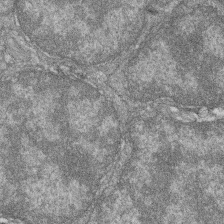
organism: Zebrafish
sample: Cilia; retinal pigment epithelium